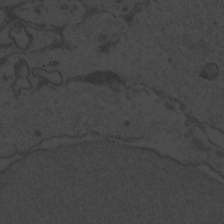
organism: Zebrafish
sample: Macrophage infected with Toxoplasma gondii